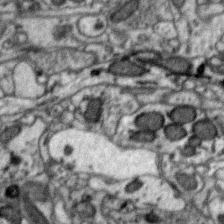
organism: Zebra finch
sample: Brain